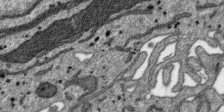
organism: Human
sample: Lung epithelial cells, uninfected (mock) control